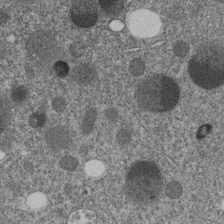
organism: C. elegans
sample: C. elegans embryo early stage